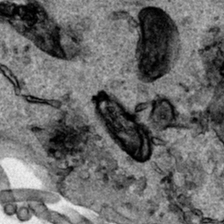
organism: Human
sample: Mitochondria in HCT116 cells